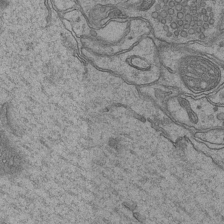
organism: Mouse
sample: CA1 Hippocampus